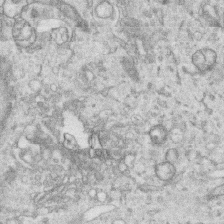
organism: Human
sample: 1205lu cells